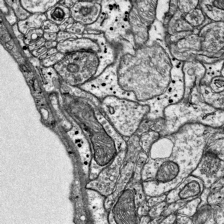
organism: Mouse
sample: Visual Cortex